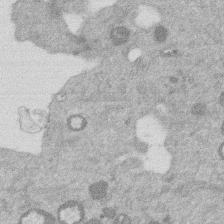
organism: Mouse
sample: Dividing mouse embryo 1 cell stage